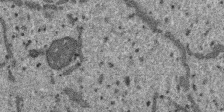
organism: Human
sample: Lung epithelial cells infected with SARS-CoV-2